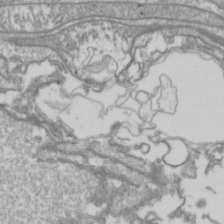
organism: Drosophila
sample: Cell division; meiosis; drosophila spermatocytes